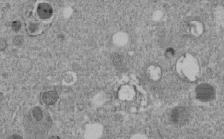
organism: C. elegans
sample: C. elegans embryo early stage